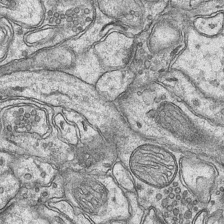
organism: Mouse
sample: CA1 Hippocampus